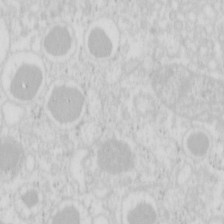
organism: Mouse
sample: Pancreas